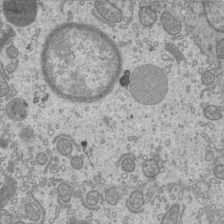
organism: Mouse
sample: Cilia; mouse epididymis